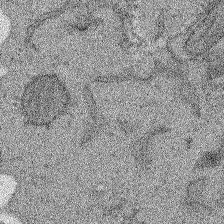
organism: Human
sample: HeLa cells